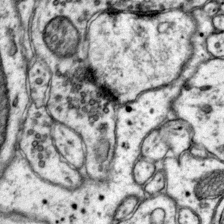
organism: Mouse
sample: Primary visual cortex